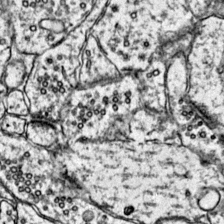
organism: Mouse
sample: Primary visual cortex